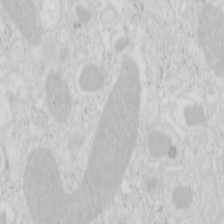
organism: Mouse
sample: Pancreas